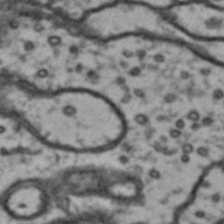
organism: Drosophila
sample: Brain